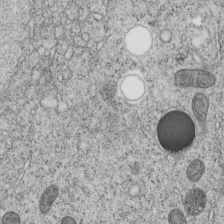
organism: C. elegans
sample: C. elegans embryo early stage